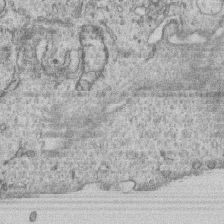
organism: Human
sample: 1205lu cells